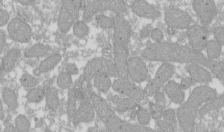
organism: Xenopus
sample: Cilia; centrioles in frog embryo cells